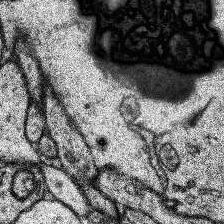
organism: Human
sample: Temporal Lobe